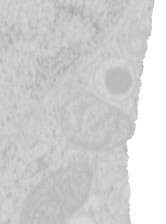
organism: Mouse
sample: Pancreas